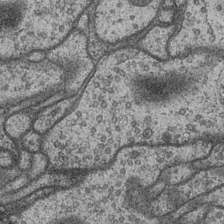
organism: Drosophila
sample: Optic medulla